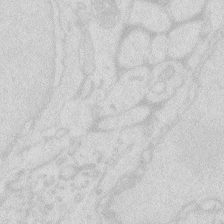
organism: Zebrafish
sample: Macrophage